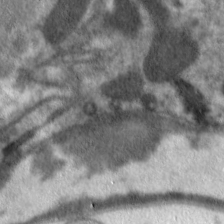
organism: C. elegans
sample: Pharynx